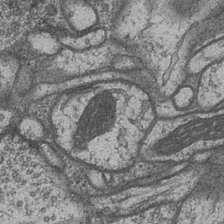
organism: Drosophila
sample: Optic medulla